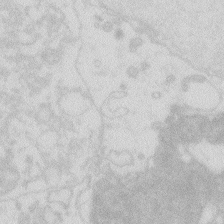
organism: Zebrafish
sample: Macrophage